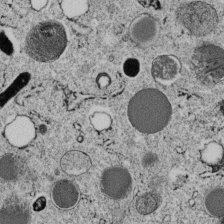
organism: C. elegans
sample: C. elegans embryo early stage